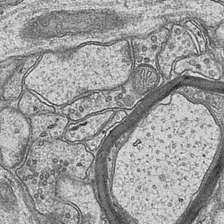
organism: Mouse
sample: CA1 Hippocampus